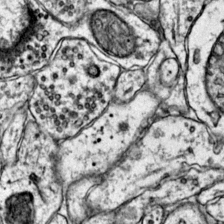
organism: Mouse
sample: Primary visual cortex